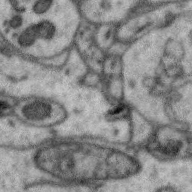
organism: Zebra finch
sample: Brain